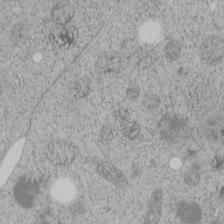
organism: C. elegans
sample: C. elegans embryo early stage